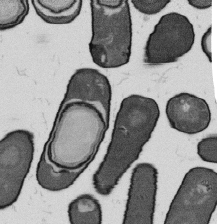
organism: B. subtilis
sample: Bacterial spore